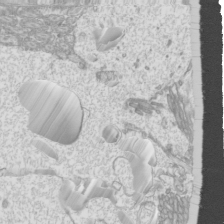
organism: Mouse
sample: Cilia; mouse epididymis